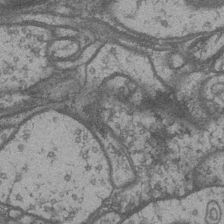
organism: Drosophila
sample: Optic medulla